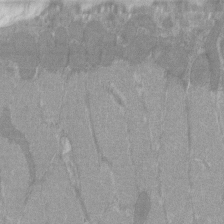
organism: C57BL Mouse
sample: Tibialis anterior muscle cell